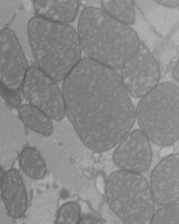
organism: C57BL Mouse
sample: Heart